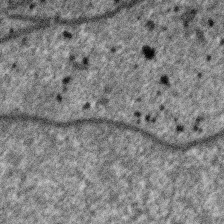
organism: Human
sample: Lung epithelial cells infected with SARS-CoV-2